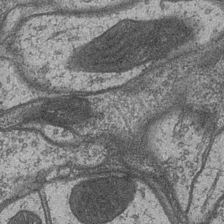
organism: Drosophila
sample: Optic medulla